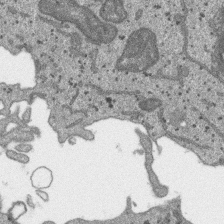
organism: Human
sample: Lung epithelial cells infected with SARS-CoV-2